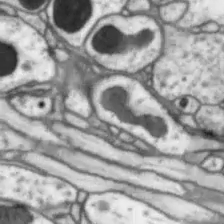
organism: Drosophila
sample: Optic lobe